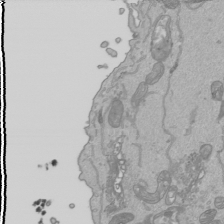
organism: Human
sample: Mitochondria in HCT116 cells